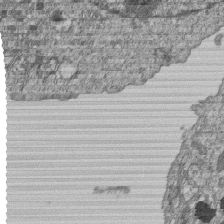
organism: Human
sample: MDA-MB-231 cells